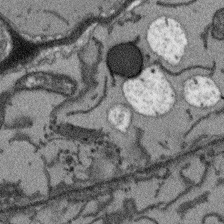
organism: Arabidopsis thaliana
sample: Root tip